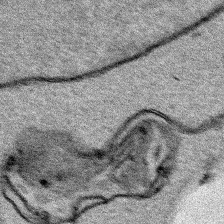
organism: Human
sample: Mitochondria in HCT116 cells